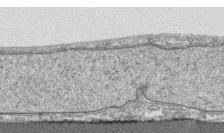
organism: Human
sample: CRL-1474